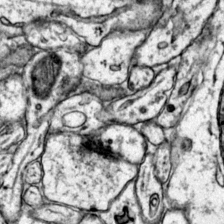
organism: Mouse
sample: Primary visual cortex